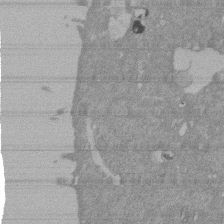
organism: Mouse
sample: ED-1 cell nuclei; centrioles